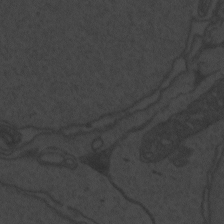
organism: Zebrafish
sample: Macrophage infected with Toxoplasma gondii